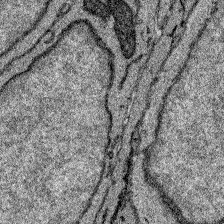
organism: Zebrafish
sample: Larval olfactory bulb